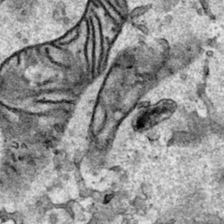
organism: Human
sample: Mitochondria in HCT116 cells